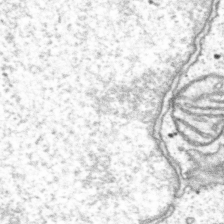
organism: Human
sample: HeLa cells